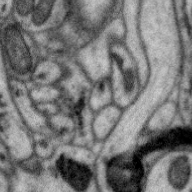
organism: Zebra finch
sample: Brain